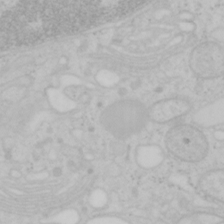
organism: Mouse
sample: OT-I killer T cells with ID8 ovarian cancer cells